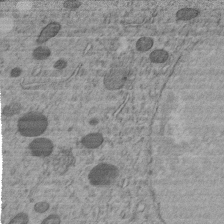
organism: C. elegans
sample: C. elegans embryo early stage